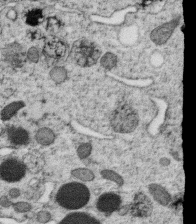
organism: C. elegans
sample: C. elegans oocyte; sperm cells